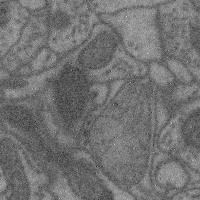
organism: Mouse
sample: Cerebral cortex